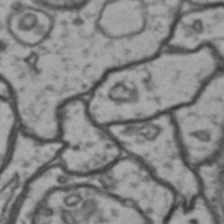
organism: Drosophila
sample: Brain